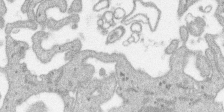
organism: Human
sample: Lung epithelial cells infected with SARS-CoV-2